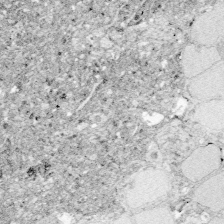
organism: Zebrafish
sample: Whole-Brain